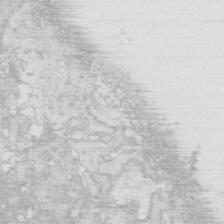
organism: Mouse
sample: Multiciliated cells